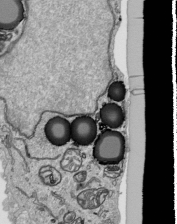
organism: Human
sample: Mitochondria in HCT116 cells